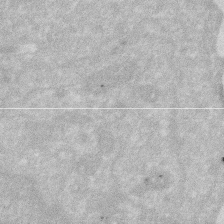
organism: Human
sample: HIV infected U937 cells